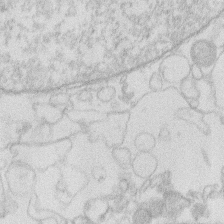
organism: Human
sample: Macrophage cells